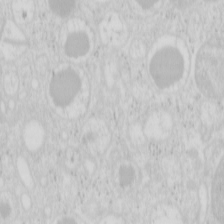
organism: Mouse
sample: Pancreas